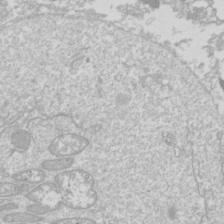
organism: Drosophila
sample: Cell division; meiosis; drosophila spermatocytes